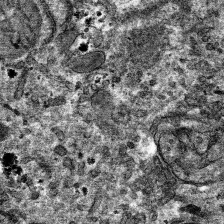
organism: Mouse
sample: Mouse hepatocytes